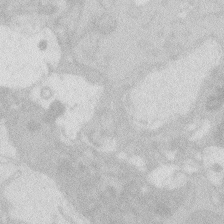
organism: Zebrafish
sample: Macrophage